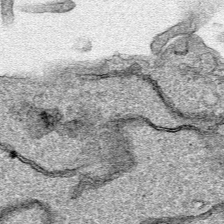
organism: Human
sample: Mitochondria in HCT116 cells